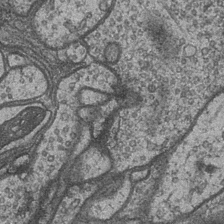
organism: Drosophila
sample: Optic medulla